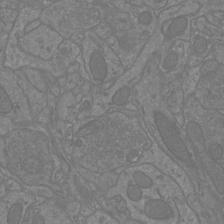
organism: Mouse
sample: Cortical neurons